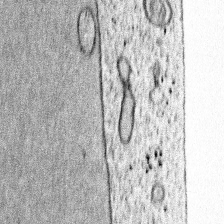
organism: Human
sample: HeLa cells